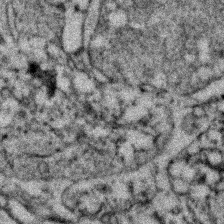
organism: Zebrafish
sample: Zebrafish embryo